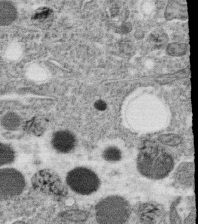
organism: C. elegans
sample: C. elegans oocyte; sperm cells